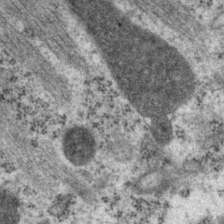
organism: P. pacificus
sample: Pharynx